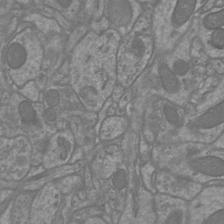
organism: Mouse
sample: Cortical neurons